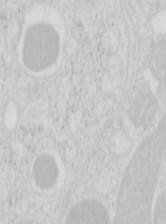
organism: Mouse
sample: Pancreas